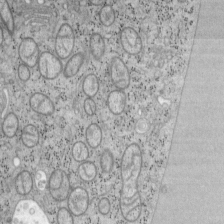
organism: Mouse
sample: OT-I killer T cells with ID8 ovarian cancer cells